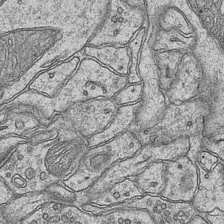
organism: Mouse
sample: CA1 Hippocampus